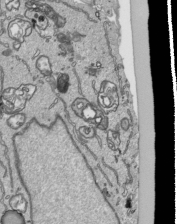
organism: Human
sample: Mitochondria in HCT116 cells